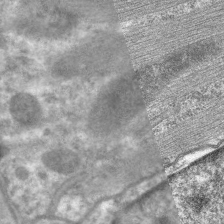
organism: C. elegans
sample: Pharynx